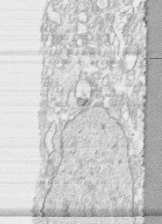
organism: Human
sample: CRL-1474